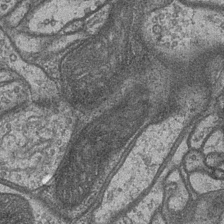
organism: Drosophila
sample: Optic medulla